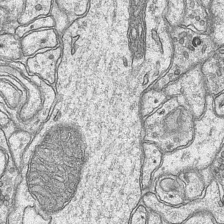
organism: Mouse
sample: CA1 Hippocampus